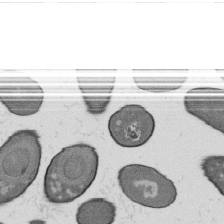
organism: B. subtilis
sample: Bacterial spore